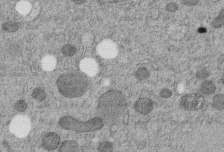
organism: C. elegans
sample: C. elegans embryo early stage